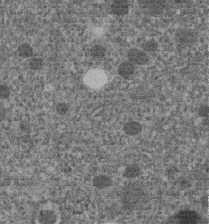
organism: C. elegans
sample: C. elegans embryo early stage